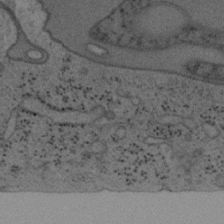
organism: Human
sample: HeLa cells